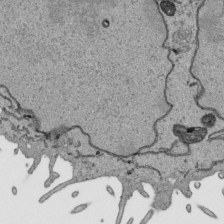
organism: Human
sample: Mitochondria in HCT116 cells